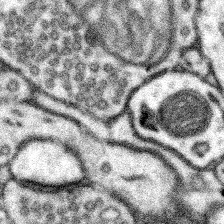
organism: Mouse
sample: Somatosensory cortex neuropil